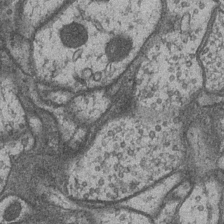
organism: Drosophila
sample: Optic medulla